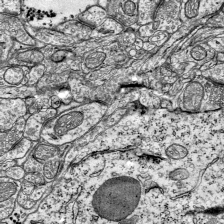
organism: Mouse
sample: Visual Cortex